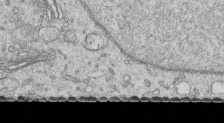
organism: Human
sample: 1205lu cells